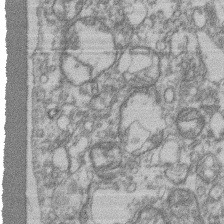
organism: Mouse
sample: T cell stromal cell synapse